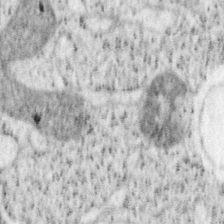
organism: Mouse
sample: OT-I killer T cells with ID8 ovarian cancer cells